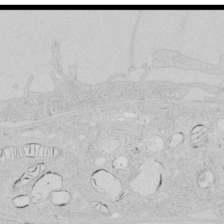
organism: Human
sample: Mitochondria in HCT116 cells